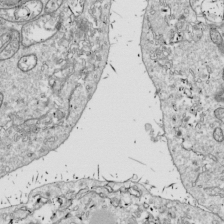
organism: Drosophila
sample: Cell division; meiosis; drosophila spermatocytes